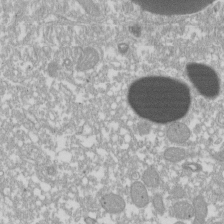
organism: Xenopus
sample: Cilia; centrioles in frog embryo cells